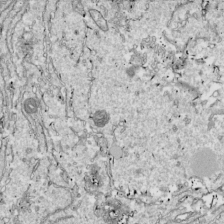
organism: Drosophila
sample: Cell division; meiosis; drosophila spermatocytes